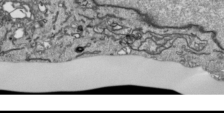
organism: Human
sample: Mitochondria in HCT116 cells